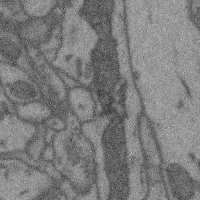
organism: Mouse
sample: Cerebral cortex